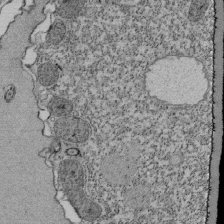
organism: Tetrahymena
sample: Cilia in tetrahymena